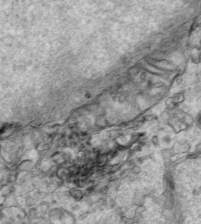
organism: Human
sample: Mitochondria in HCT116 cells